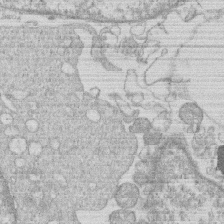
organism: Human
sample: Macrophage cells